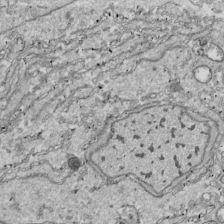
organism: Drosophila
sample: Cell division; meiosis; drosophila spermatocytes